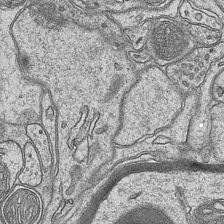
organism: Mouse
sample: CA1 Hippocampus